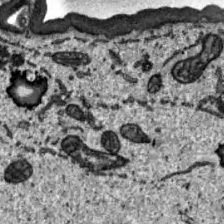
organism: Human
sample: HeLa cells